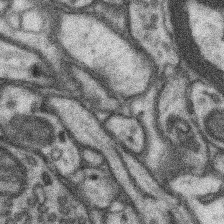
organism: Mouse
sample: Somatosensory cortex neuropil